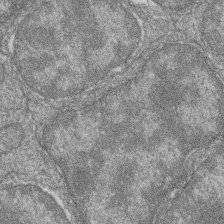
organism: Zebrafish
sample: Cilia; retinal pigment epithelium